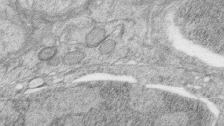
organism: Zebrafish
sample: synaptic ribbons in rod cells and cone cells